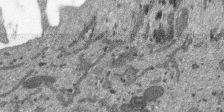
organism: Human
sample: Lung epithelial cells infected with SARS-CoV-2